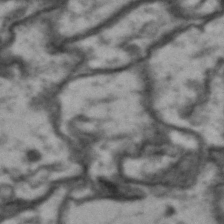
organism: Drosophila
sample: Brain